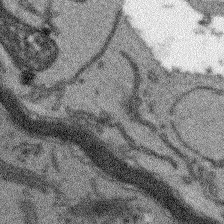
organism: Arabidopsis thaliana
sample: Root tip